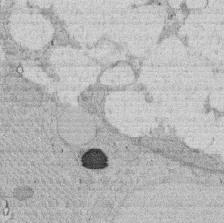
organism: Rat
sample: Salivary granule